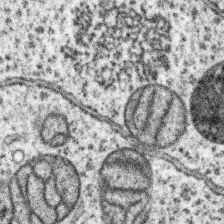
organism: Human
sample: HeLa cells